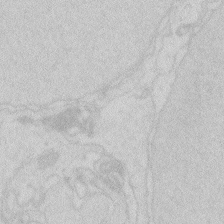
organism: Zebrafish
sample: Macrophage